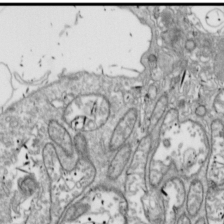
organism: Drosophila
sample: Cell division; meiosis; drosophila spermatocytes